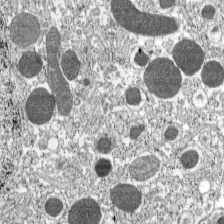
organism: C57BL Mouse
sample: Pancreatic islet